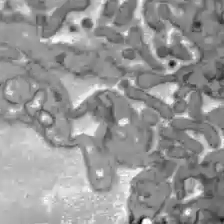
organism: C57BL Mouse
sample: Liver